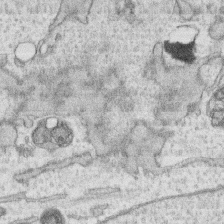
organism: Human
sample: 1205lu cells